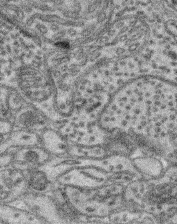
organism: Mouse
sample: Retina